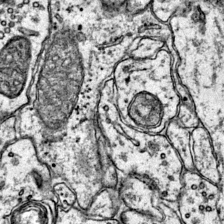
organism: Mouse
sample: Primary visual cortex